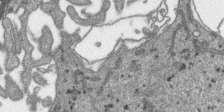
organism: Human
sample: Lung epithelial cells infected with SARS-CoV-2